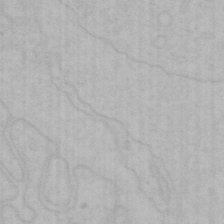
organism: Mouse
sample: Choroid plexus